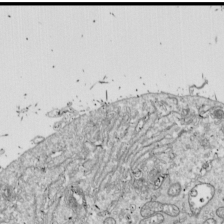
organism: Drosophila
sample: Cell division; meiosis; drosophila spermatocytes